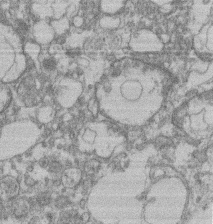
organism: Mouse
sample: T cell stromal cell synapse